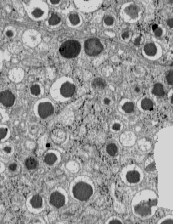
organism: C57BL Mouse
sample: Pancreatic islet